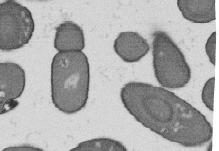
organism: B. subtilis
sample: Bacterial spore